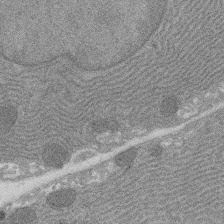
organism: Rat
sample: Salivary granule